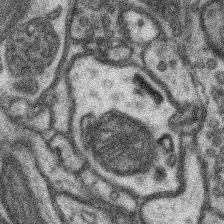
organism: Mouse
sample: Somatosensory cortex neuropil